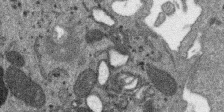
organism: Human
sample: Lung epithelial cells infected with SARS-CoV-2